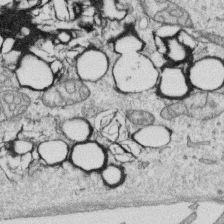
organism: Human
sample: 1205lu cells